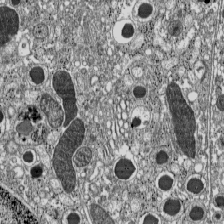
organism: C57BL Mouse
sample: Pancreatic islet